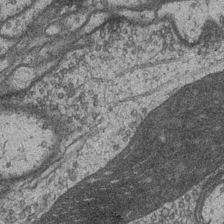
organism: Drosophila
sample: Optic medulla